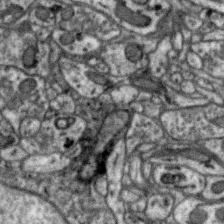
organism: Zebra finch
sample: Brain